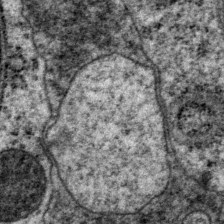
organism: P. pacificus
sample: Pharynx